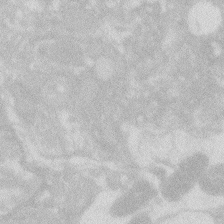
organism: Zebrafish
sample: Macrophage